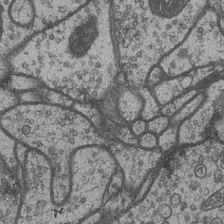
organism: Drosophila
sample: Optic medulla